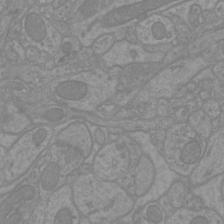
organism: Mouse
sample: Cortical neurons